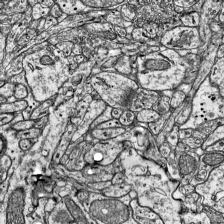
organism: Mouse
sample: Visual Cortex